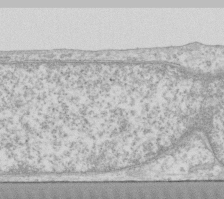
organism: Human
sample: Fibroblast cells